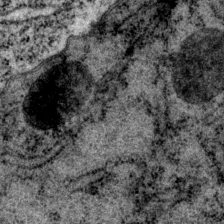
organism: P. pacificus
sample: Pharynx